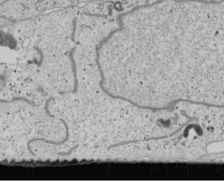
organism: Human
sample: Mitochondria in U2OS cells